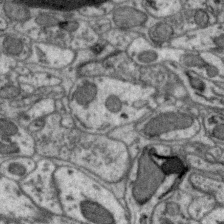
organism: Zebra finch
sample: Brain